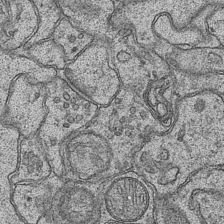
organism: Mouse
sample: CA1 Hippocampus